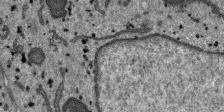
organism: Human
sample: Lung epithelial cells, uninfected (mock) control